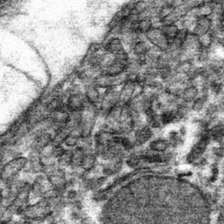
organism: Mouse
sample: Mouse hepatocytes